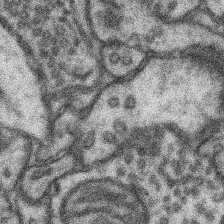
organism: Mouse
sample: Somatosensory cortex neuropil